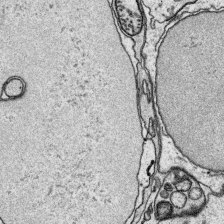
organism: Platynereis dumerilii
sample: Parapodia